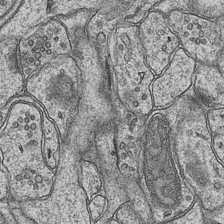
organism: Mouse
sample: CA1 Hippocampus